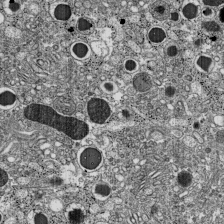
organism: C57BL Mouse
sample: Pancreatic islet